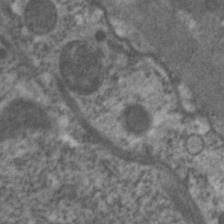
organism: C. elegans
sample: Pharynx